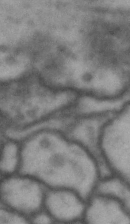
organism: Drosophila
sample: Brain